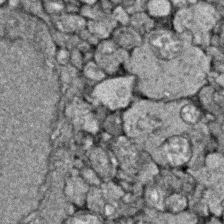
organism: Zebrafish